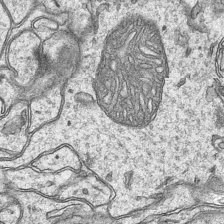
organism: Mouse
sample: CA1 Hippocampus